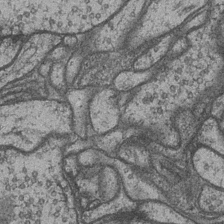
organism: Drosophila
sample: Optic medulla